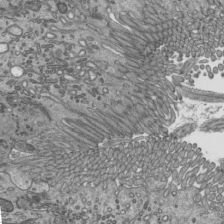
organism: Mouse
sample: Mouse epididymis efferent ductule cilia